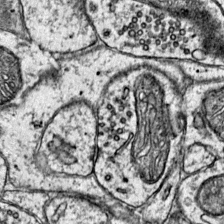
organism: Mouse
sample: Primary visual cortex